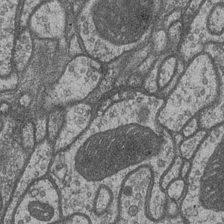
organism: Drosophila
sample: Optic medulla